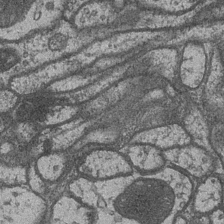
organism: Drosophila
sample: Optic medulla